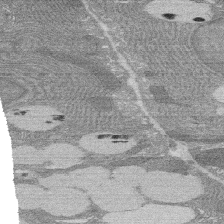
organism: Rat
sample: Salivary granule